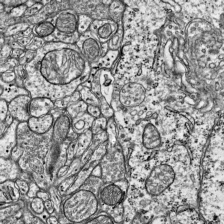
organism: Mouse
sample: Visual Cortex